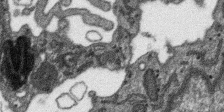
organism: Human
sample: Lung epithelial cells infected with SARS-CoV-2